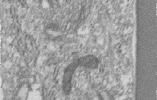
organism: Human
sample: Centriole in RPE cells